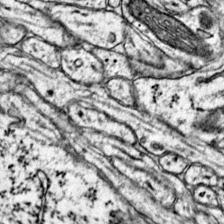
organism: Mouse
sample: Primary visual cortex